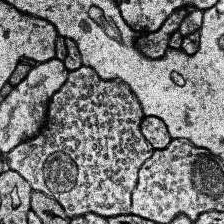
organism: Human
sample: Temporal Lobe